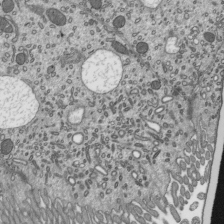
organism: Mouse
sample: Mouse epididymis efferent ductule cilia